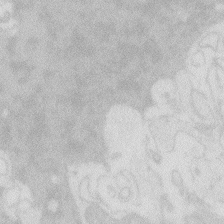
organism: Zebrafish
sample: Macrophage